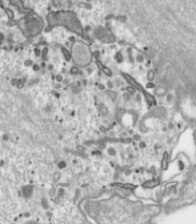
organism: Toxoplasma gondii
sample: Parasites in a vacuole inside a host cell